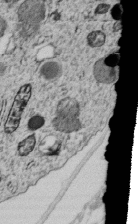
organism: C. elegans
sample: C. elegans embryo early stage